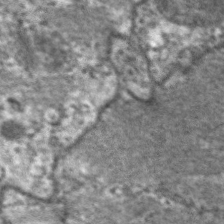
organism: C. elegans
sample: Pharynx